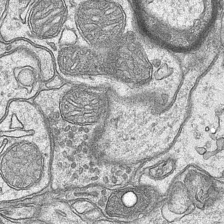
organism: Mouse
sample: CA1 Hippocampus